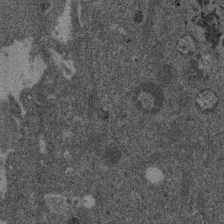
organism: Mouse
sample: Dividing mouse embryo 1 cell stage